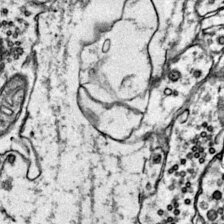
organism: Mouse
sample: Primary visual cortex